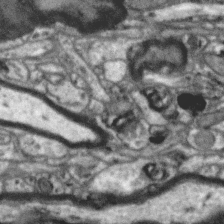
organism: Zebra finch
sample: Brain